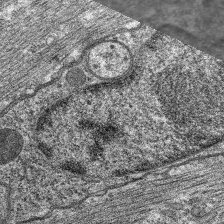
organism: C. elegans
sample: Pharynx